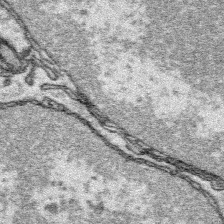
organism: Platynereis dumerilii